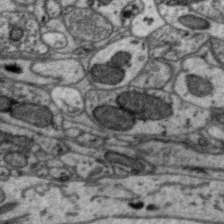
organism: Zebra finch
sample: Brain